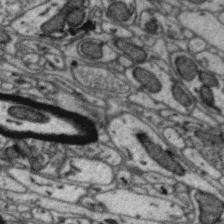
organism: Zebra finch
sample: Brain